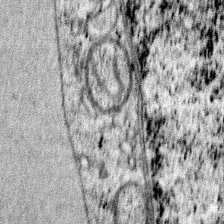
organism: Human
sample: HeLa cells